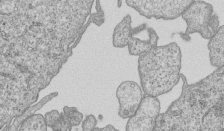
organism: Human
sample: MDA-MB-231 cells